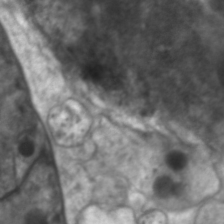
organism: C. elegans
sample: Pharynx